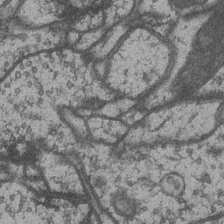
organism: Drosophila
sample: Optic medulla